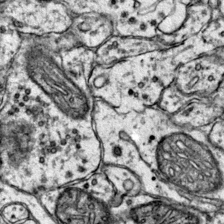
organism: Mouse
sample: Primary visual cortex